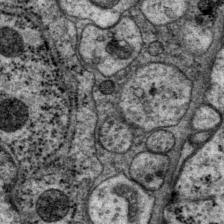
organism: P. pacificus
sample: Pharynx